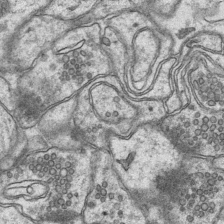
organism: Mouse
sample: CA1 Hippocampus